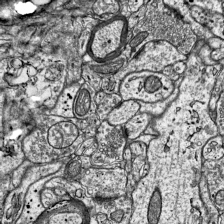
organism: Mouse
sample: Visual Cortex